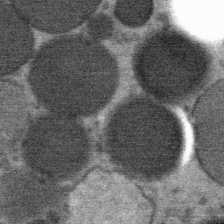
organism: Mouse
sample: Mouse Salivary gland